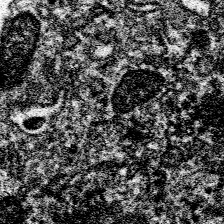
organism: Spongilla lacustris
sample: Neuroid cell